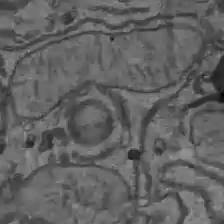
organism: C57BL Mouse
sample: Liver